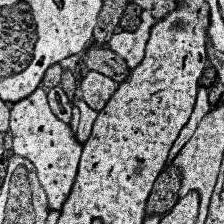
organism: Human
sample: Temporal Lobe